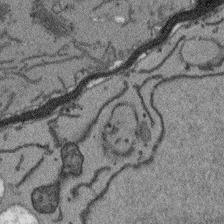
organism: Arabidopsis thaliana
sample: Root tip